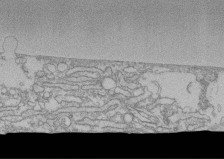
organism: Human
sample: CRL-1474